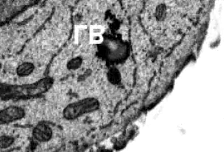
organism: Human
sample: HeLa cells